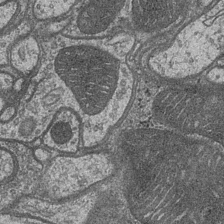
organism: Drosophila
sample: Optic medulla